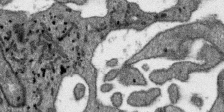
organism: Human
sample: Lung epithelial cells, uninfected (mock) control